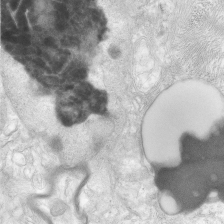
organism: Human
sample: Neocortex